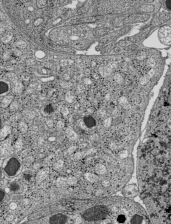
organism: C57BL Mouse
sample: Pancreatic islet